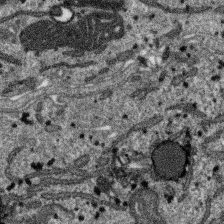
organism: Human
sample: Lung epithelial cells infected with SARS-CoV-2